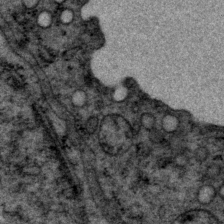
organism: P. pacificus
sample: Pharynx